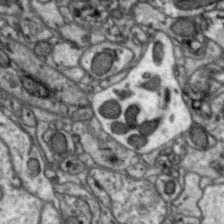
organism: Zebra finch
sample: Brain